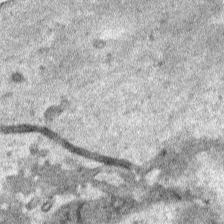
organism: Human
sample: Mitochondria in HCT116 cells